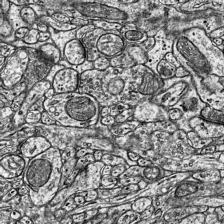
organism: Mouse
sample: Visual Cortex